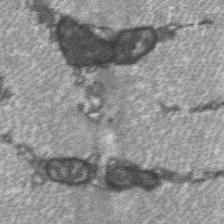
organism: C57BL Mouse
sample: Soleus